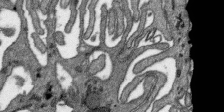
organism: Human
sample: Lung epithelial cells, uninfected (mock) control